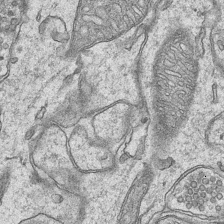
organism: Mouse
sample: CA1 Hippocampus